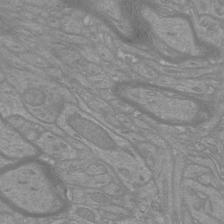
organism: Mouse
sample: Cortical neurons